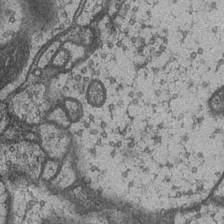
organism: Drosophila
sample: Optic medulla